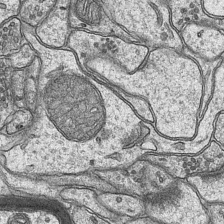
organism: Mouse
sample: CA1 Hippocampus